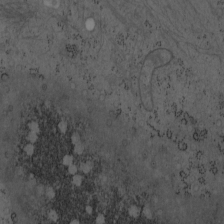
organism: Mouse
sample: OT-I killer T cells with ID8 ovarian cancer cells